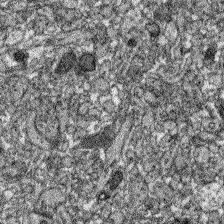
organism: Zebrafish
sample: Larval olfactory bulb